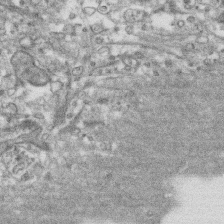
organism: Human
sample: CRL-1474